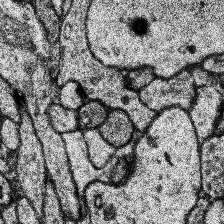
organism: Human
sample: Temporal Lobe